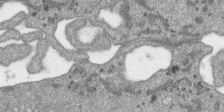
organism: Human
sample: Lung epithelial cells infected with SARS-CoV-2